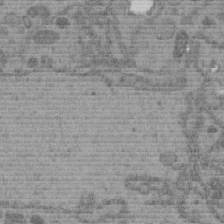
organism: C. elegans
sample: C. elegans embryo early stage